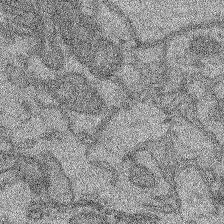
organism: Human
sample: HeLa cells